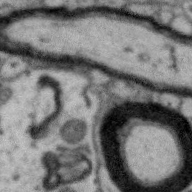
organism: Zebra finch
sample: Brain